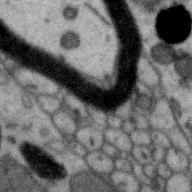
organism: Zebra finch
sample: Brain